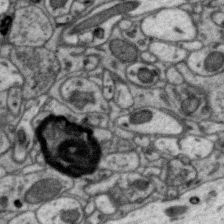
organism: Zebra finch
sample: Brain